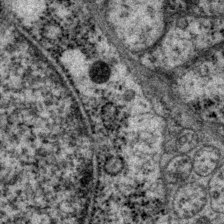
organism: P. pacificus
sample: Pharynx